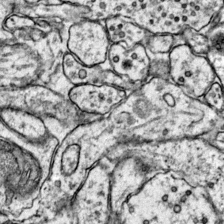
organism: Mouse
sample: Primary visual cortex